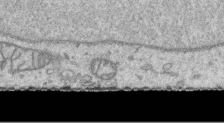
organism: Human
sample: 1205lu cells